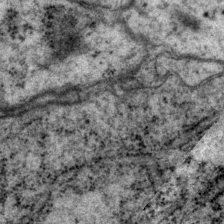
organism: P. pacificus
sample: Pharynx